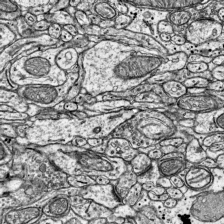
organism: Mouse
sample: Visual Cortex